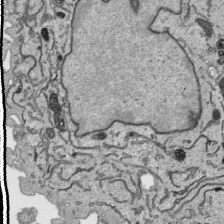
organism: Human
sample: Mitochondria in HCT116 cells